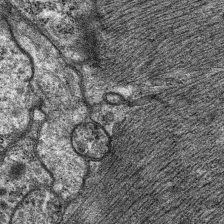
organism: C. elegans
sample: Pharynx